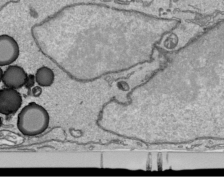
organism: Human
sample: Mitochondria in HCT116 cells